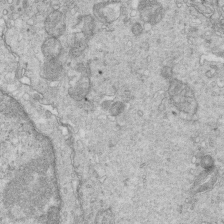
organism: Mouse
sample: Multiciliated cells